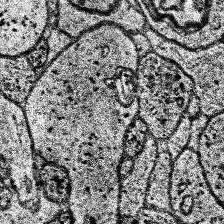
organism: Human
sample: Temporal Lobe